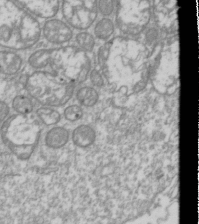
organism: Drosophila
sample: Cell division; meiosis; drosophila spermatocytes